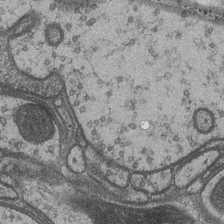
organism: Drosophila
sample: Optic medulla